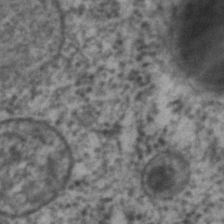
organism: C. elegans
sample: C. elegans embryo